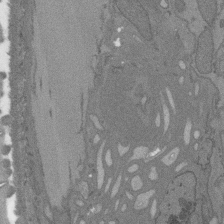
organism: C. elegans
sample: AFD neurons C. elegans